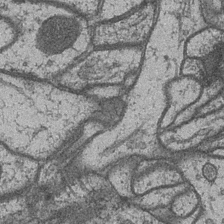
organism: Drosophila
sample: Optic medulla